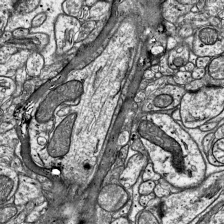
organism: Mouse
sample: Visual Cortex